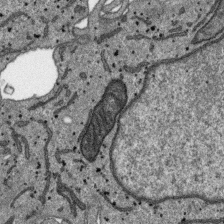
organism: Human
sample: Lung epithelial cells, uninfected (mock) control